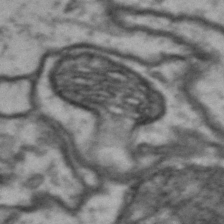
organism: Drosophila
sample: Brain